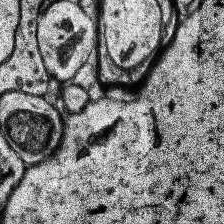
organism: Human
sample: Temporal Lobe